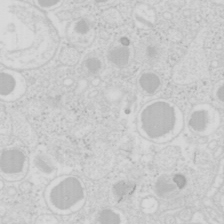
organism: Mouse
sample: Pancreas